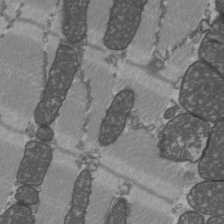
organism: C57BL Mouse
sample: Heart